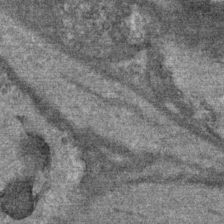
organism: Mouse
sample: Mouse Salivary gland